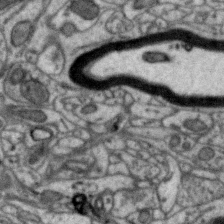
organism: Zebra finch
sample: Brain